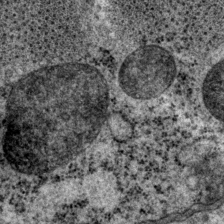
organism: P. pacificus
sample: Pharynx